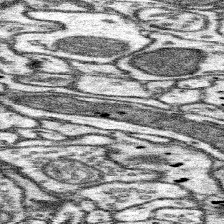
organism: Mouse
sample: Somatosensory cortex neuropil